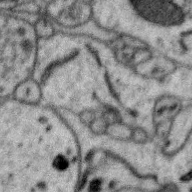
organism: Zebra finch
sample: Brain